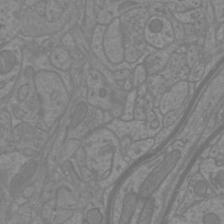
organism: Mouse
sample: Cortical neurons